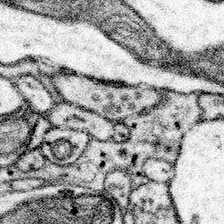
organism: Mouse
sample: Somatosensory cortex neuropil